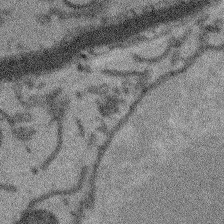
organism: Arabidopsis thaliana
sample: Root tip